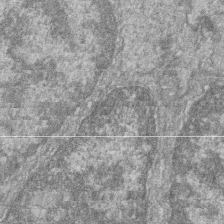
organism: Zebrafish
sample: Cilia; retinal pigment epithelium